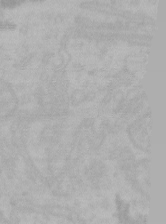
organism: Mouse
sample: Choroid plexus